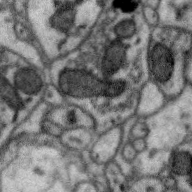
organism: Zebra finch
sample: Brain